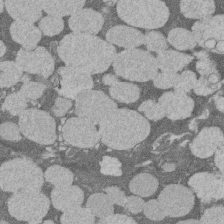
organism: Rat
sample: Salivary granule